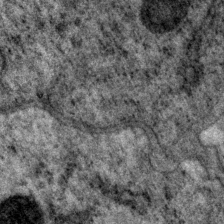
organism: P. pacificus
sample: Pharynx